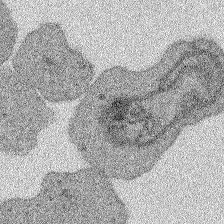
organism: Human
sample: HeLa cells